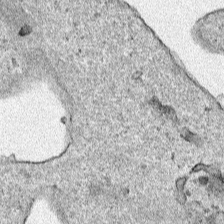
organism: Human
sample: Mitochondria in HCT116 cells